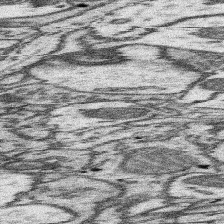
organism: Mouse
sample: Somatosensory cortex neuropil